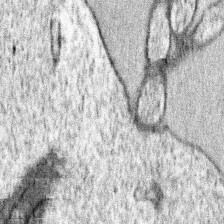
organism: Human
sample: HeLa cells